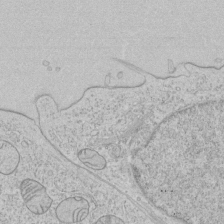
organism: Human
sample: Mitochondria in HCT116 cells